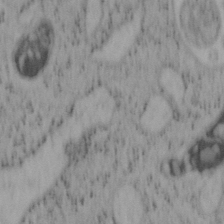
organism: Mouse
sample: OT-I killer T cells with ID8 ovarian cancer cells